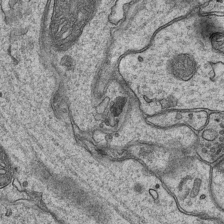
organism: Mouse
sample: CA1 Hippocampus